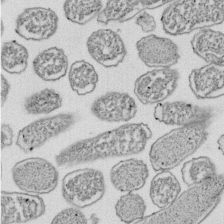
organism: E. coli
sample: Bacterial nucleoid